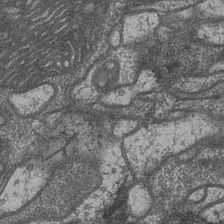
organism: Drosophila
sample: Optic medulla